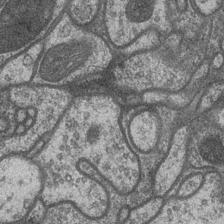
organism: Drosophila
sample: Optic medulla